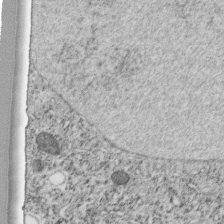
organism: C. elegans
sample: C. elegans embryo early stage